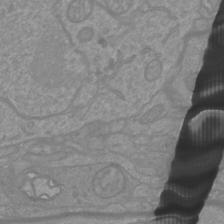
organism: Mouse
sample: Cortical neurons